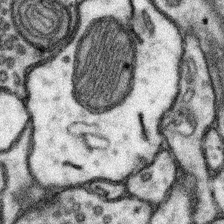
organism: Mouse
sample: Somatosensory cortex neuropil